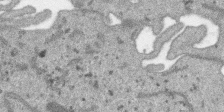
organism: Human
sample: Lung epithelial cells infected with SARS-CoV-2